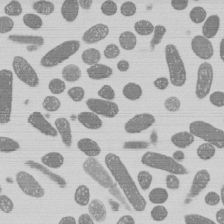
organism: E. coli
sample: Bacterial nucleoid